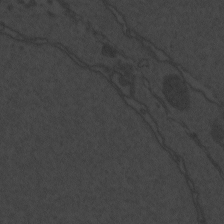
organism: Zebrafish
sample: Macrophage infected with Toxoplasma gondii